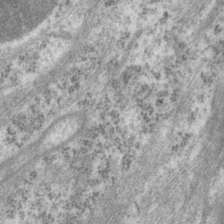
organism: P. pacificus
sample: Pharynx